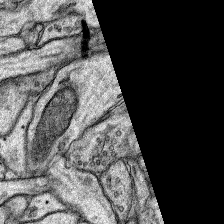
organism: Rat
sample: Hippocampus